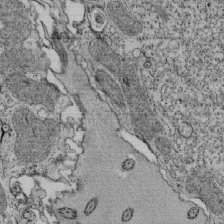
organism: Tetrahymena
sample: Cilia in tetrahymena